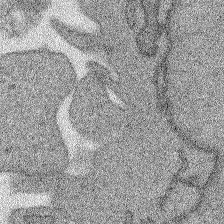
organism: Human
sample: HeLa cells